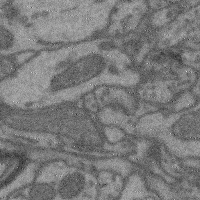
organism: Mouse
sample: Cerebral cortex